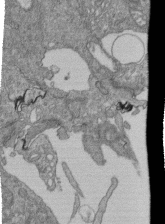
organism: Human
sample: Retinal organoid Rod and Cone cells